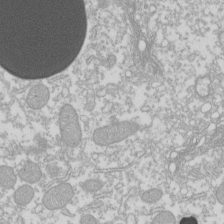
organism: Xenopus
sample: Cilia; centrioles in frog embryo cells